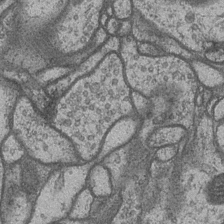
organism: Drosophila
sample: Optic medulla